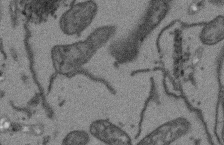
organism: Arabidopsis thaliana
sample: Root tip